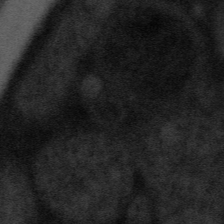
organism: Tuwongella immobilis